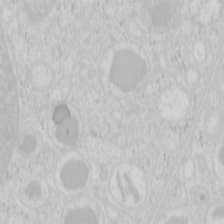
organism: Mouse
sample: Pancreas